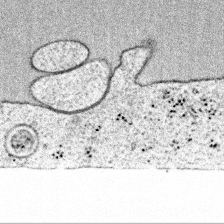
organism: Human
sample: HeLa cells